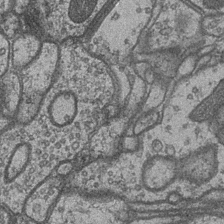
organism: Drosophila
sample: Optic medulla